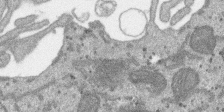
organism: Human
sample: Lung epithelial cells infected with SARS-CoV-2